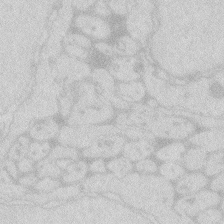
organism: Zebrafish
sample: Macrophage